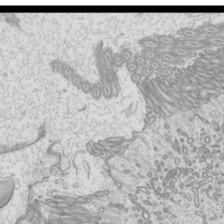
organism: Mouse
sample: Cilia; mouse epididymis